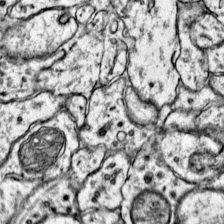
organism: Mouse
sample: Primary visual cortex